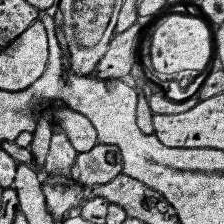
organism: Human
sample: Temporal Lobe